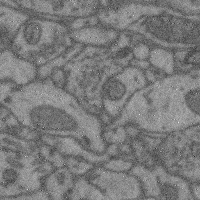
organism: Mouse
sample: Cerebral cortex